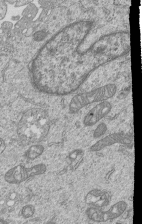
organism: Human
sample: MDA-MB-231 cells